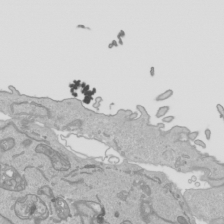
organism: Human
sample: Mitochondria in HCT116 cells